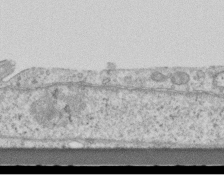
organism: Mouse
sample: Centriole in ependymal cells